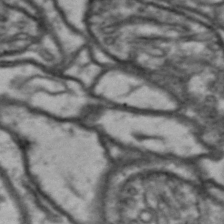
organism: Drosophila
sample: Brain